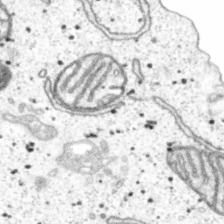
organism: Human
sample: HeLa cells